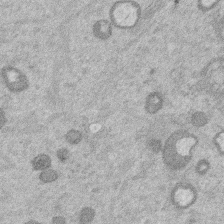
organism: Mouse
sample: Dividing mouse embryo 1 cell stage